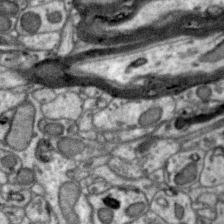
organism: Zebra finch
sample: Brain